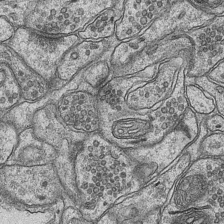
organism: Mouse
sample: CA1 Hippocampus